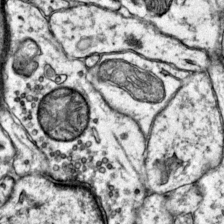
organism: Mouse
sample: Primary visual cortex